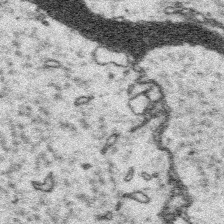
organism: Platynereis dumerilii